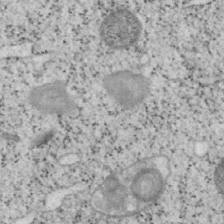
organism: Mouse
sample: OT-I killer T cells with ID8 ovarian cancer cells